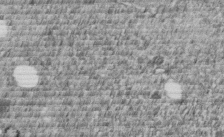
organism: C. elegans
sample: C. elegans embryo early stage